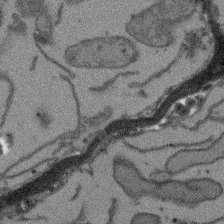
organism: Arabidopsis thaliana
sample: Root tip